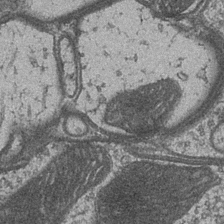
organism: Drosophila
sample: Optic medulla